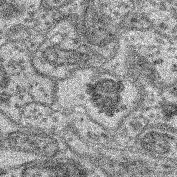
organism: Mouse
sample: Retina